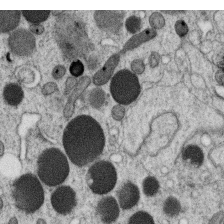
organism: C. elegans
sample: C. elegans oocyte; sperm cells